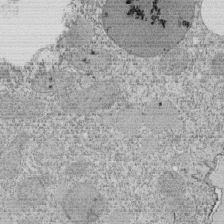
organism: Tetrahymena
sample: Cilia in tetrahymena